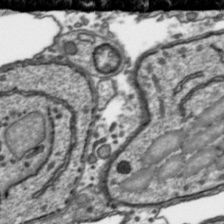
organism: Toxoplasma gondii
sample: Parasites in a vacuole inside a host cell